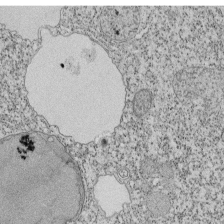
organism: Tetrahymena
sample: Cilia in tetrahymena